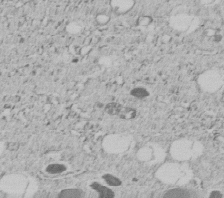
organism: C. elegans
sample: C. elegans embryo early stage